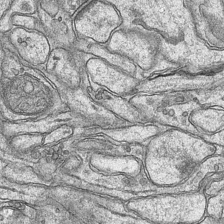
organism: Mouse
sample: CA1 Hippocampus